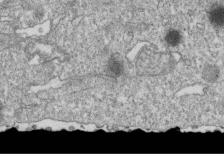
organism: Human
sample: HeLa cell HIV synapse